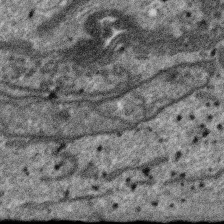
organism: Human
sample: Lung epithelial cells infected with SARS-CoV-2